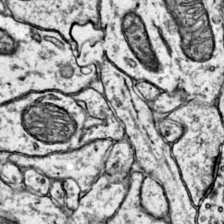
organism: Mouse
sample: Primary visual cortex